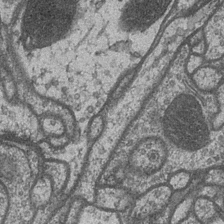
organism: Drosophila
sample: Optic medulla